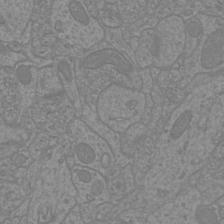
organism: Mouse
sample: Cortical neurons